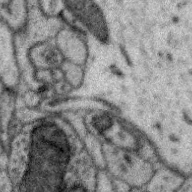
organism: Zebra finch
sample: Brain